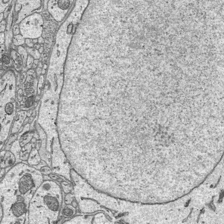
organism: Mouse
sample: Suprachiasmatic nucleus